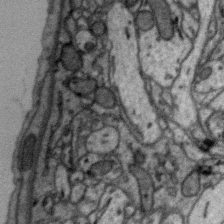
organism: Zebra finch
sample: Brain